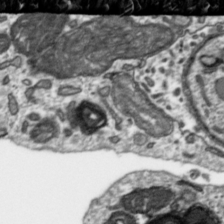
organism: Toxoplasma gondii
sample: Parasites in a vacuole inside a host cell